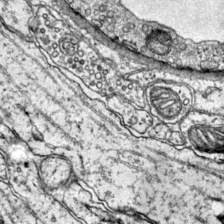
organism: Mouse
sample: Primary visual cortex